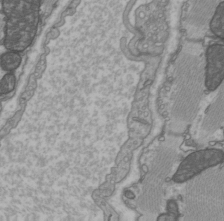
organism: C57BL Mouse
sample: Heart